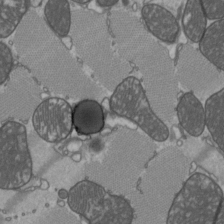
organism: C57BL Mouse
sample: Heart